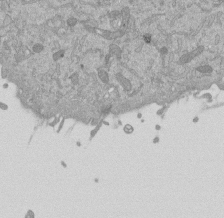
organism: Mouse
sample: ED-1 cell nuclei; centrioles